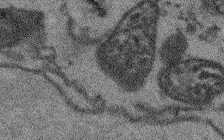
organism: Arabidopsis thaliana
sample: Root tip